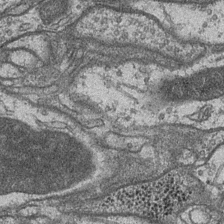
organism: Drosophila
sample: Optic medulla